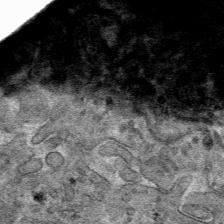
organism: Mouse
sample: Mouse hepatocytes